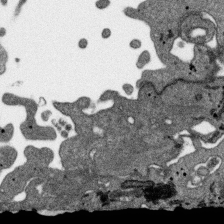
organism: Human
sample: Lung epithelial cells, uninfected (mock) control